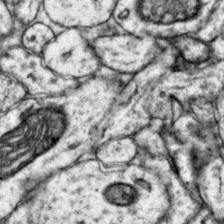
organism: Mouse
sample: Primary visual cortex